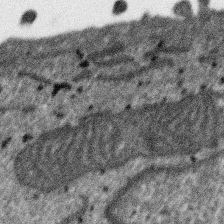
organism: Human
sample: Lung epithelial cells infected with SARS-CoV-2